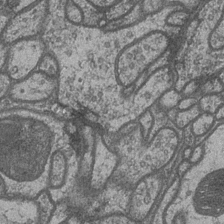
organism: Drosophila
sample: Optic medulla